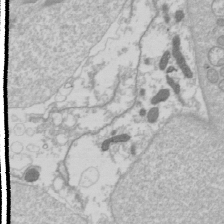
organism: Drosophila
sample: Cell division; meiosis; drosophila spermatocytes